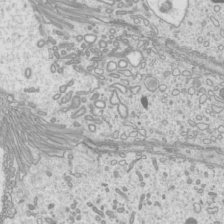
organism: Mouse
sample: Cilia; mouse epididymis